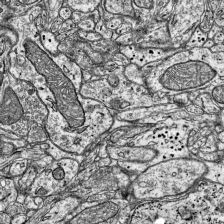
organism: Mouse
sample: Visual Cortex